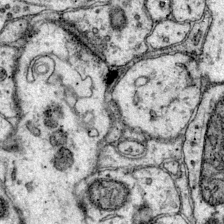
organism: Mouse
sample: Primary visual cortex